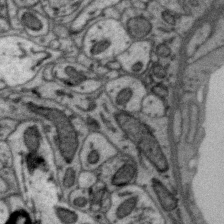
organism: Zebra finch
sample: Brain